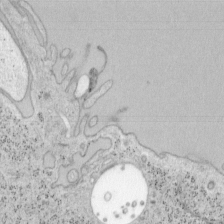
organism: Mouse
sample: OT-I killer T cells with ID8 ovarian cancer cells